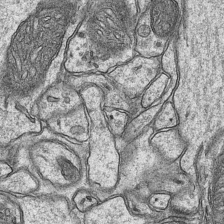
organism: Mouse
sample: CA1 Hippocampus